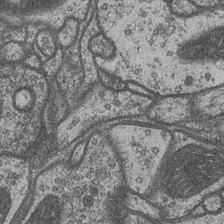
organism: Drosophila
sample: Optic medulla